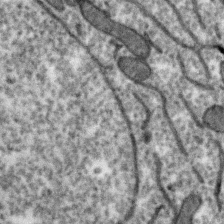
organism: Zebra finch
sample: Brain